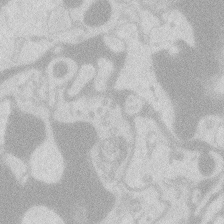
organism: Zebrafish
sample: Macrophage